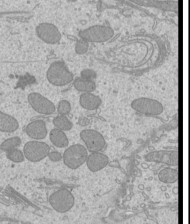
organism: Mouse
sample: Cilia; mouse epididymis